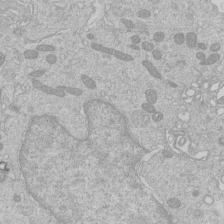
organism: Human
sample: Macrophage cells